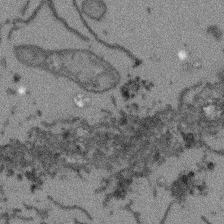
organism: Arabidopsis thaliana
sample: Root tip